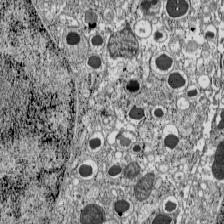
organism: C57BL Mouse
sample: Pancreatic islet